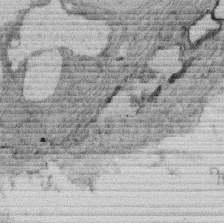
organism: Rat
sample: Salivary granule